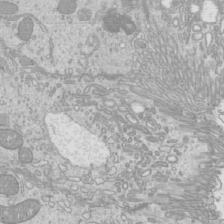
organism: Mouse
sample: Cilia; mouse epididymis